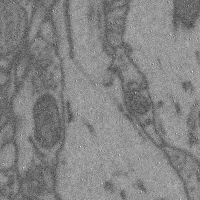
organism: Mouse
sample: Cerebral cortex